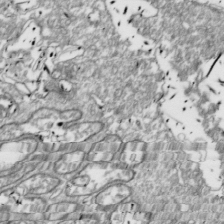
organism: Drosophila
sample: Cell division; meiosis; drosophila spermatocytes